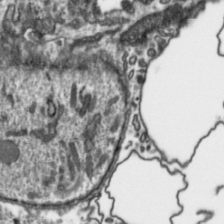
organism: Toxoplasma gondii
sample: Parasites in a vacuole inside a host cell